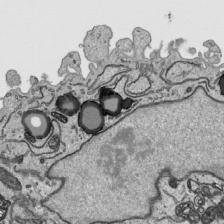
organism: Human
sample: Mitochondria in HCT116 cells